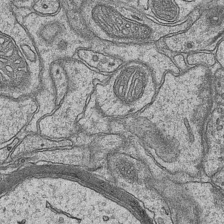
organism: Mouse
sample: CA1 Hippocampus